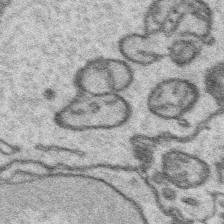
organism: Platynereis dumerilii